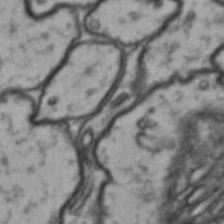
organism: Drosophila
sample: Brain